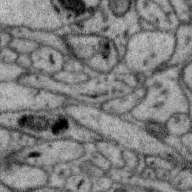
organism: Zebra finch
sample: Brain